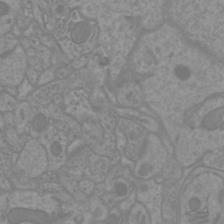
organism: Mouse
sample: Cortical neurons